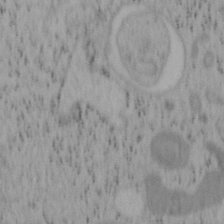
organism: Mouse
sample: OT-I killer T cells with ID8 ovarian cancer cells